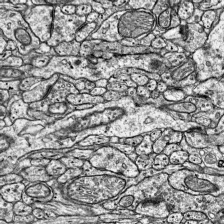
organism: Mouse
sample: Visual Cortex